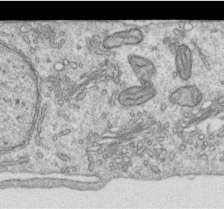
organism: Human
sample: Centriole in RPE cells